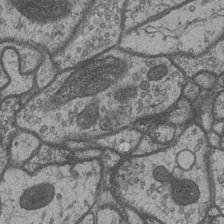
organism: Drosophila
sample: Optic medulla